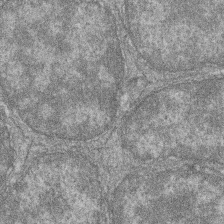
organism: Zebrafish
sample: Cilia; retinal pigment epithelium